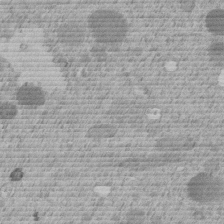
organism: C. elegans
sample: C. elegans embryo early stage